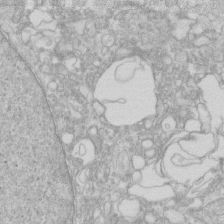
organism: Human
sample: Fibroblast cells